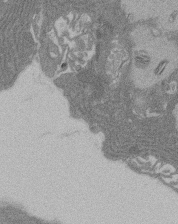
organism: Rat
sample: Salivary granule